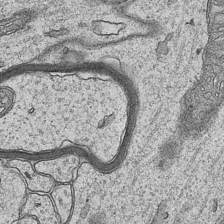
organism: Mouse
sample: CA1 Hippocampus